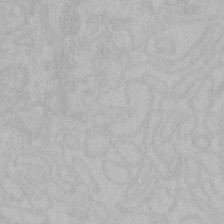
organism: Mouse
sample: Choroid plexus